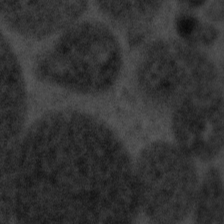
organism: Tuwongella immobilis